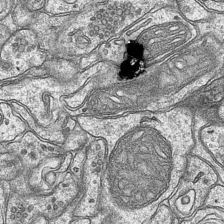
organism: Mouse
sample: CA1 Hippocampus